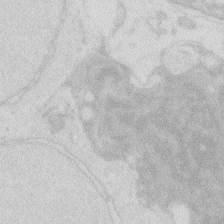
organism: Zebrafish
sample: Macrophage